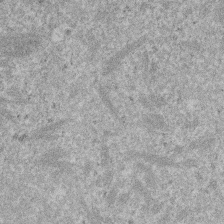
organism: Mouse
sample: Dividing mouse embryo 1 cell stage